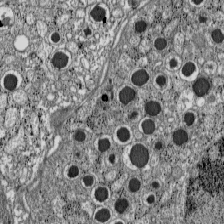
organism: C57BL Mouse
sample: Pancreatic islet